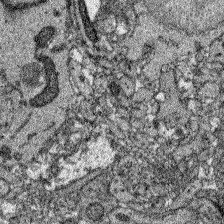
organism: Zebrafish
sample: Larval olfactory bulb